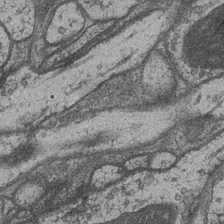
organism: Drosophila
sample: Optic medulla